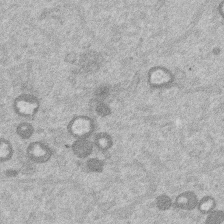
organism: Mouse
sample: Dividing mouse embryo 1 cell stage